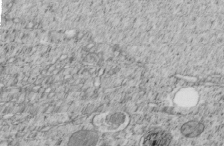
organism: C. elegans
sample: C. elegans embryo early stage